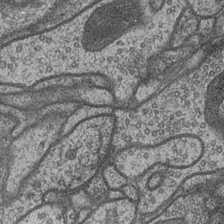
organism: Drosophila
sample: Optic medulla